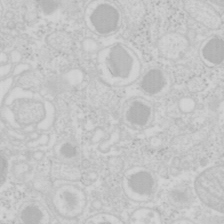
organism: Mouse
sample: Pancreas